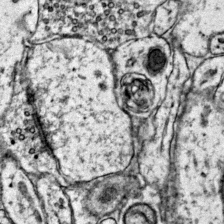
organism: Mouse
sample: Primary visual cortex